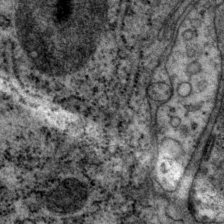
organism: P. pacificus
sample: Pharynx